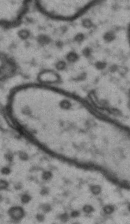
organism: Drosophila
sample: Brain